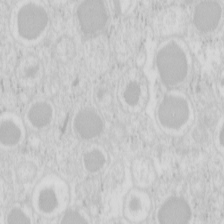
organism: Mouse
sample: Pancreas